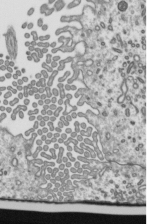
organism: Mouse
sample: Mouse epididymis efferent ductule cilia